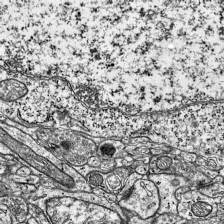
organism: Mouse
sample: Visual Cortex